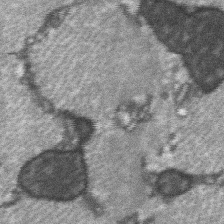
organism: C57BL Mouse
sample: Soleus